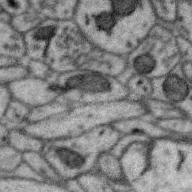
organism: Zebra finch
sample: Brain